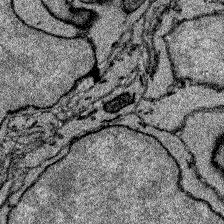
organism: Zebrafish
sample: Larval olfactory bulb